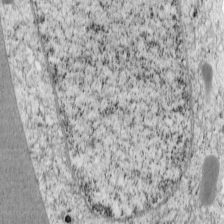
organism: African green monkey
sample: COS-7 cells